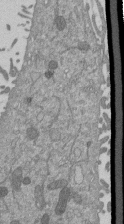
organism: Mouse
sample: ED-1 cell nuclei; centrioles